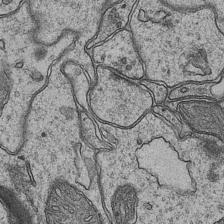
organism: Mouse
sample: CA1 Hippocampus